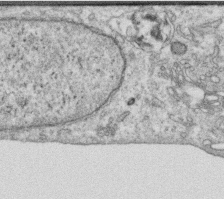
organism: Human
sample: Centriole in RPE cells